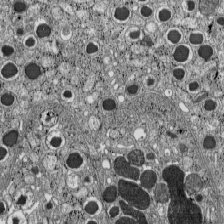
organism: C57BL Mouse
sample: Pancreatic islet